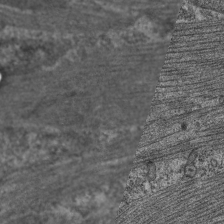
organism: C. elegans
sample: Pharynx